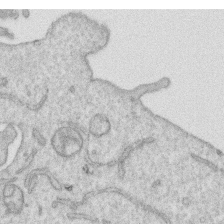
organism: Human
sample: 1205lu cells